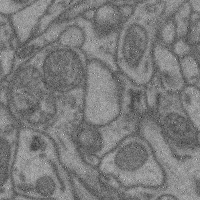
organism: Mouse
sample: Cerebral cortex